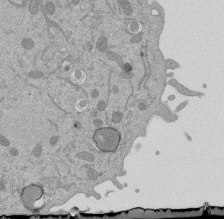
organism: Mouse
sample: ED-1 cell nuclei; centrioles